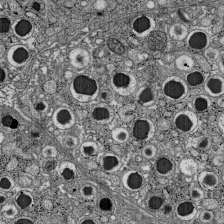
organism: C57BL Mouse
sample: Pancreatic islet